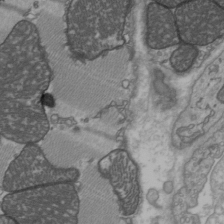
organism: C57BL Mouse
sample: Heart